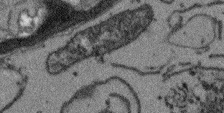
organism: Arabidopsis thaliana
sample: Root tip